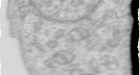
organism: Human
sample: Centriole in RPE cells